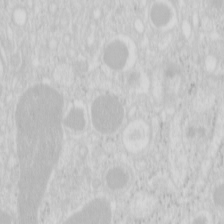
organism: Mouse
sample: Pancreas